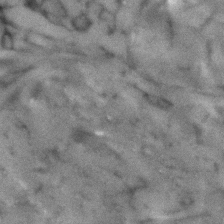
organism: Human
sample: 1205lu cells